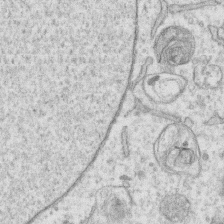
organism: Human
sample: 1205lu cells